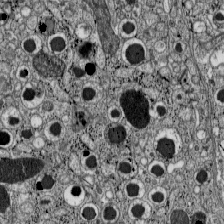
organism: C57BL Mouse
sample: Pancreatic islet